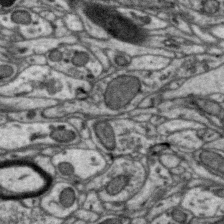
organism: Zebra finch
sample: Brain